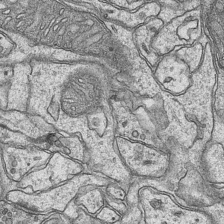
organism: Mouse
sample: CA1 Hippocampus